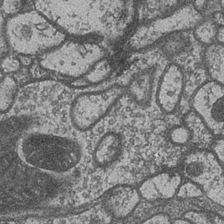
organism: Drosophila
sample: Optic medulla